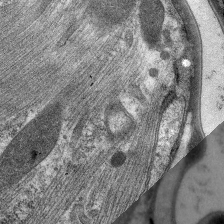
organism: C. elegans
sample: Pharynx